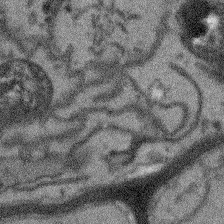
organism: Arabidopsis thaliana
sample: Root tip